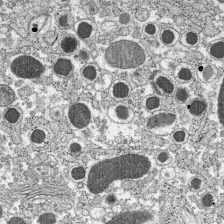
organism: C57BL Mouse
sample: Pancreatic islet